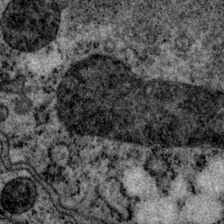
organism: P. pacificus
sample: Pharynx